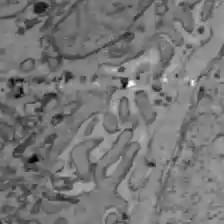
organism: C57BL Mouse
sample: Liver